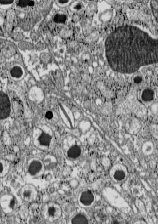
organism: C57BL Mouse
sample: Pancreatic islet